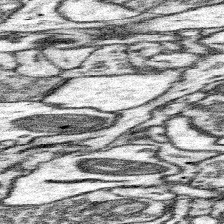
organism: Mouse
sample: Somatosensory cortex neuropil